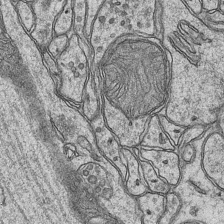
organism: Mouse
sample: CA1 Hippocampus